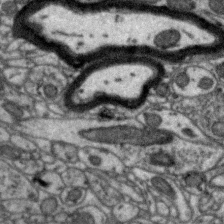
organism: Zebra finch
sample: Brain